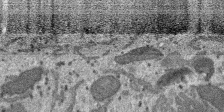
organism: Human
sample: Lung epithelial cells infected with SARS-CoV-2